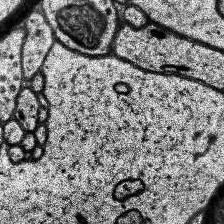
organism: Human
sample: Temporal Lobe